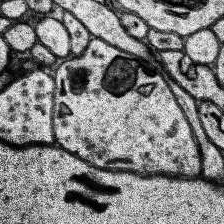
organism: Human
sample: Temporal Lobe